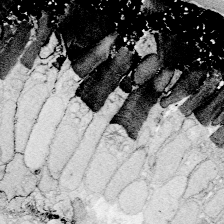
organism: Zebrafish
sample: Whole-Brain